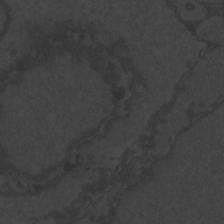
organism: Zebrafish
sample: Macrophage infected with Toxoplasma gondii